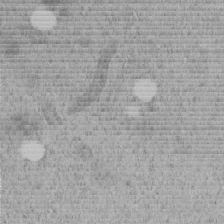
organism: C. elegans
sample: C. elegans embryo early stage